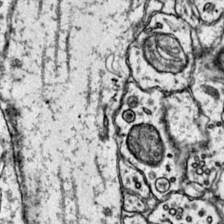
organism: Mouse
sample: Primary visual cortex